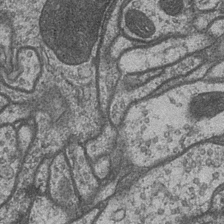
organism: Drosophila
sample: Optic medulla